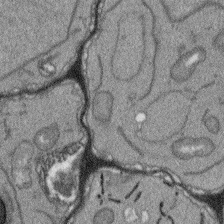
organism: Arabidopsis thaliana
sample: Root tip